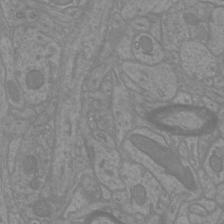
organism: Mouse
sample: Cortical neurons